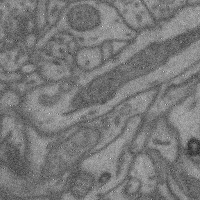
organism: Mouse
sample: Cerebral cortex